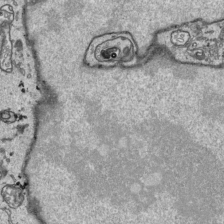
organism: Human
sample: Mitochondria in HCT116 cells